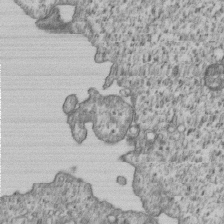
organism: Human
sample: MDA-MB-231 cells